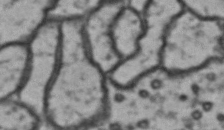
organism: Drosophila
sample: Brain